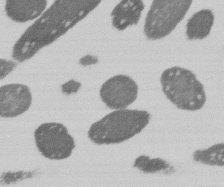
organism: E. coli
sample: Bacterial nucleoid